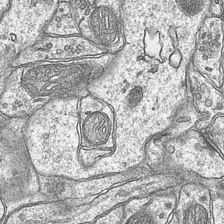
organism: Mouse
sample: CA1 Hippocampus